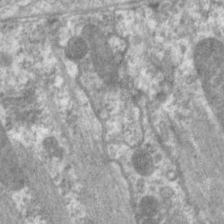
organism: C. elegans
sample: Pharynx